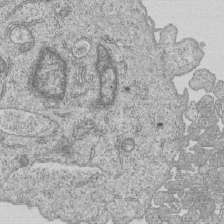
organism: Human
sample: MDA-MB-231 cells